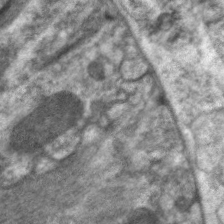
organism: C. elegans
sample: Pharynx